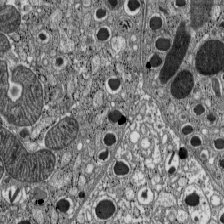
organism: C57BL Mouse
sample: Pancreatic islet